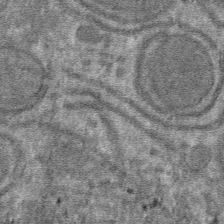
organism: Mouse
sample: Mouse hepatocytes